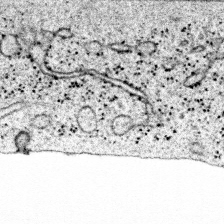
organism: Human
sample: HeLa cells